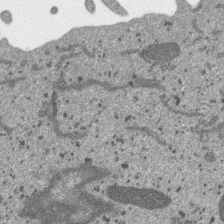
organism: Human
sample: Lung epithelial cells infected with SARS-CoV-2